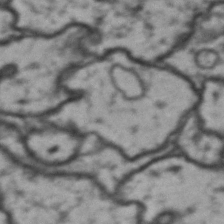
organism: Drosophila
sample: Brain